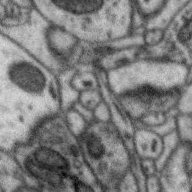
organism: Zebra finch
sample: Brain